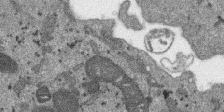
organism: Human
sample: Lung epithelial cells infected with SARS-CoV-2